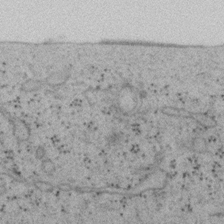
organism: Human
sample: HeLa cells